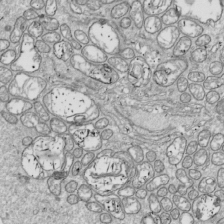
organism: Drosophila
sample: Cell division; meiosis; drosophila spermatocytes